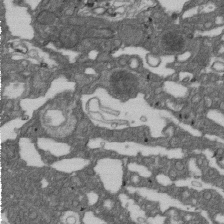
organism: Drosophila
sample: Nephrocyte